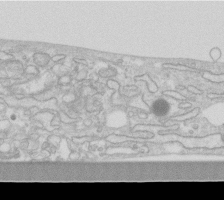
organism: Human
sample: Fibroblast cells